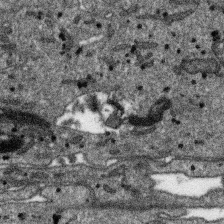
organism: Human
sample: Lung epithelial cells infected with SARS-CoV-2